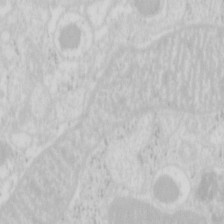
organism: Mouse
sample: Pancreas